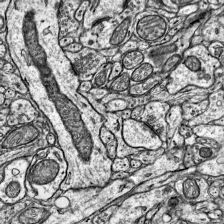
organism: Mouse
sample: Visual Cortex